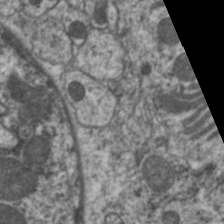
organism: C. elegans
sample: Pharynx